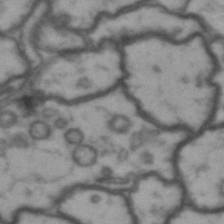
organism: Drosophila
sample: Brain